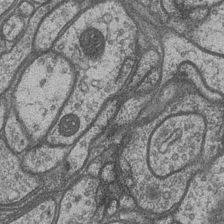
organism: Drosophila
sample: Optic medulla